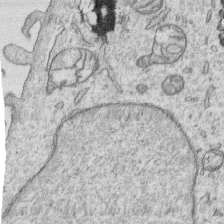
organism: Human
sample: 1205lu cells